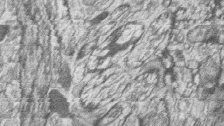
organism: Zebrafish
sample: synaptic ribbons in rod cells and cone cells